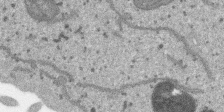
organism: Human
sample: Lung epithelial cells infected with SARS-CoV-2